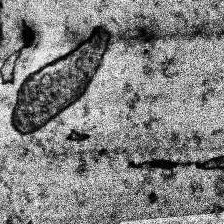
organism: Human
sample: Temporal Lobe